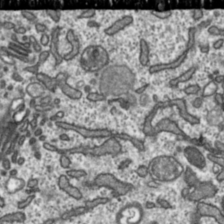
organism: Toxoplasma gondii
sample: Parasites in a vacuole inside a host cell